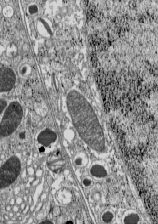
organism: C57BL Mouse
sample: Pancreatic islet